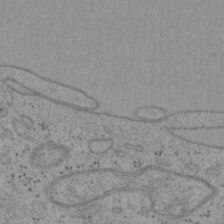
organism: Human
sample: HeLa cells